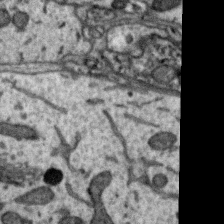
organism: Zebra finch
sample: Brain